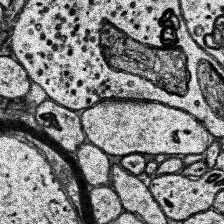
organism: Human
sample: Temporal Lobe